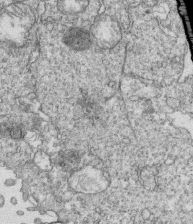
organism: Human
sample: HeLa cell HIV synapse